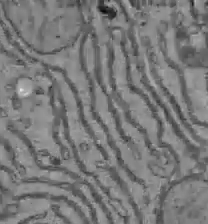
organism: C57BL Mouse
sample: Liver